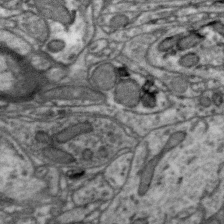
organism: Zebra finch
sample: Brain